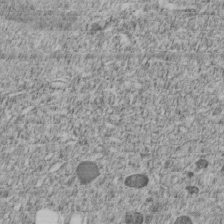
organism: C. elegans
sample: C. elegans embryo early stage